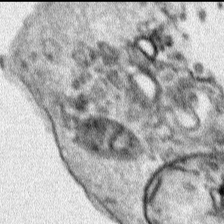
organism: Human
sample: Mitochondria in HCT116 cells